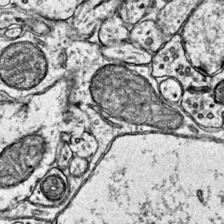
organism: Mouse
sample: Primary visual cortex